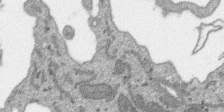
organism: Human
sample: Lung epithelial cells infected with SARS-CoV-2